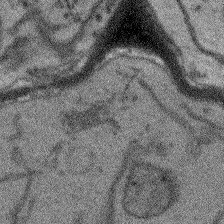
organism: Arabidopsis thaliana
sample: Root tip